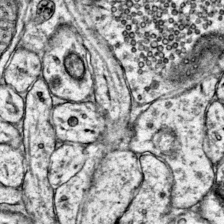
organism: Mouse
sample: Primary visual cortex